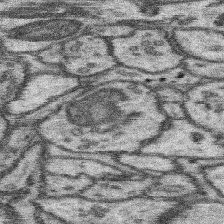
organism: Mouse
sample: Somatosensory cortex neuropil